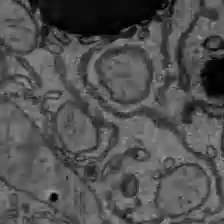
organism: C57BL Mouse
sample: Liver